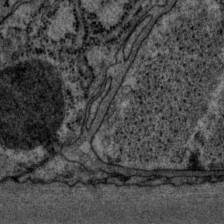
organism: P. pacificus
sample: Pharynx